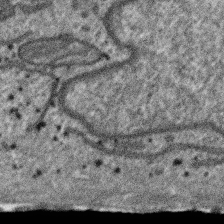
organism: Human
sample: Lung epithelial cells infected with SARS-CoV-2